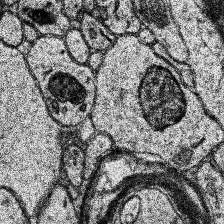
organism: Human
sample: Temporal Lobe